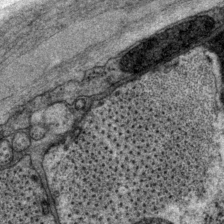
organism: P. pacificus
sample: Pharynx